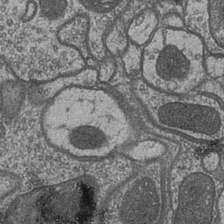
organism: Drosophila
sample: Optic medulla